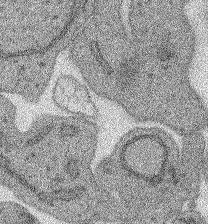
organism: Human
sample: HeLa cells